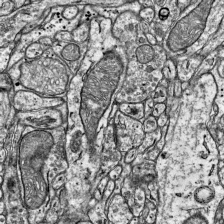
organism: Mouse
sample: Visual Cortex